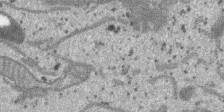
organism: Human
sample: Lung epithelial cells infected with SARS-CoV-2